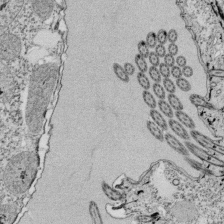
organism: Tetrahymena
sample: Cilia in tetrahymena